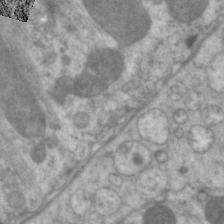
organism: C. elegans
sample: Pharynx